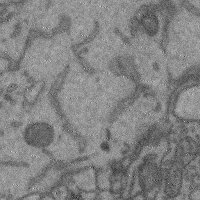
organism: Mouse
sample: Cerebral cortex